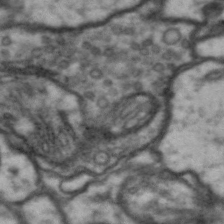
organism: Drosophila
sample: Brain